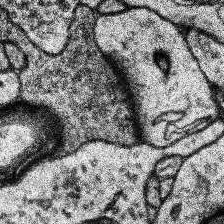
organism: Human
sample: Temporal Lobe